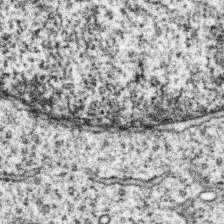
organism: Human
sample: HeLa cells